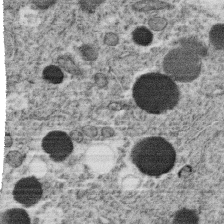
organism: C. elegans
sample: C. elegans oocyte; sperm cells